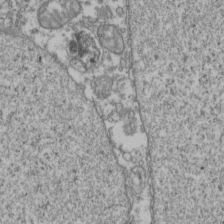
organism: Human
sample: Activated Jurkat CD4+ T cells